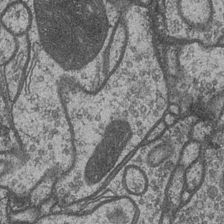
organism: Drosophila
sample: Optic medulla